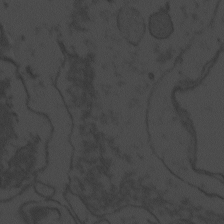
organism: Zebrafish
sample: Macrophage infected with Toxoplasma gondii